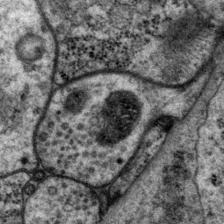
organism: P. pacificus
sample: Pharynx